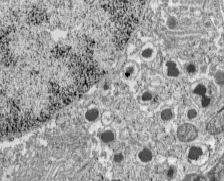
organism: C57BL Mouse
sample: Pancreatic islet